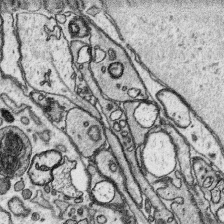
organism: Platynereis dumerilii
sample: Parapodia